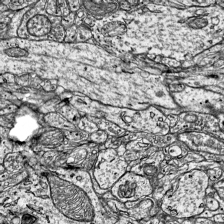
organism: Mouse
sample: Visual Cortex